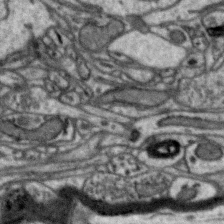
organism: Zebra finch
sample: Brain